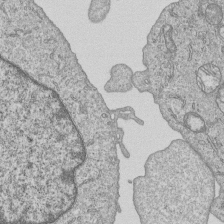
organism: Human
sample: MDA-MB-231 cells